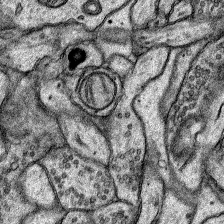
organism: Rat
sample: Hippocampus